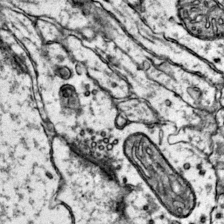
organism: Mouse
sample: Primary visual cortex